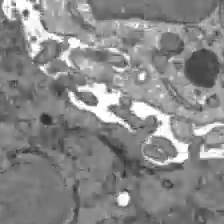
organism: C57BL Mouse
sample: Liver